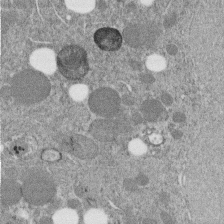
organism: C. elegans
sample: C. elegans embryo early stage